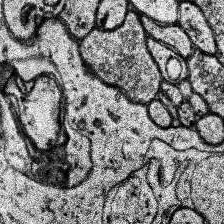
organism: Human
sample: Temporal Lobe